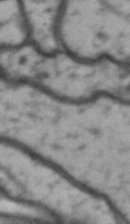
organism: Drosophila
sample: Brain